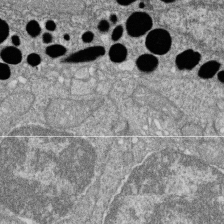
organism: Zebrafish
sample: Cilia; retinal pigment epithelium